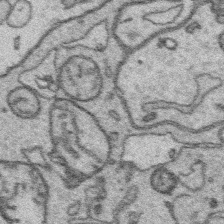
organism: Platynereis dumerilii